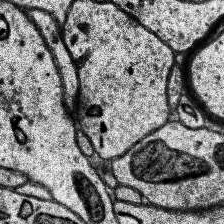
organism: Human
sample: Temporal Lobe